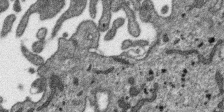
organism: Human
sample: Lung epithelial cells infected with SARS-CoV-2